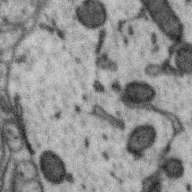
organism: Zebra finch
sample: Brain